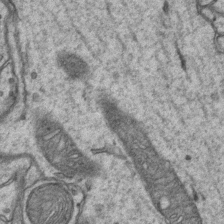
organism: Mouse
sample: CA1 Hippocampus